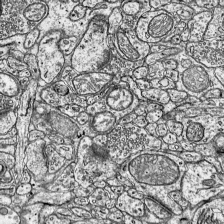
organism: Mouse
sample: Visual Cortex